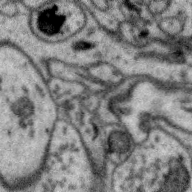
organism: Zebra finch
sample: Brain